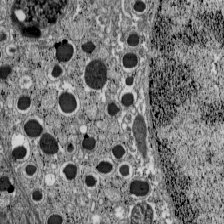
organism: C57BL Mouse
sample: Pancreatic islet